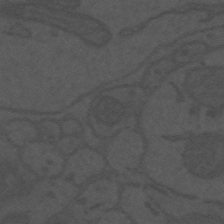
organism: Mouse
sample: Suprachiasmatic nucleus